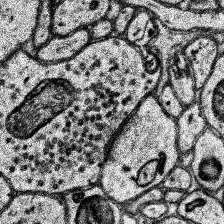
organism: Human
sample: Temporal Lobe